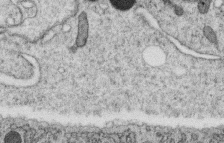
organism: C. elegans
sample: C. elegans oocyte; sperm cells